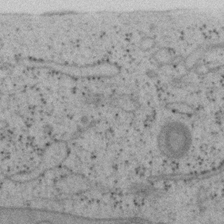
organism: Human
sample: HeLa cells